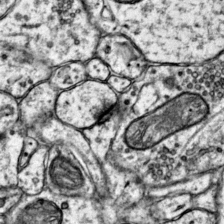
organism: Mouse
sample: Primary visual cortex